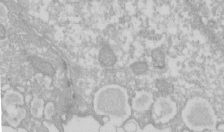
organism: Xenopus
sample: Cilia; centrioles in frog embryo cells